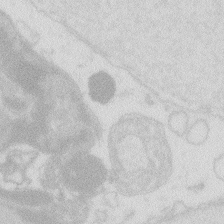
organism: Zebrafish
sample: Macrophage